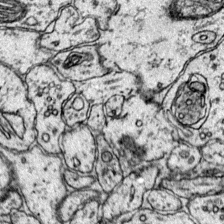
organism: Mouse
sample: Primary visual cortex